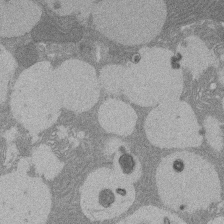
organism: Rat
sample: Salivary granule